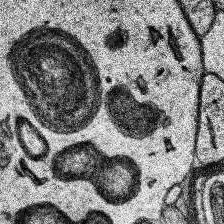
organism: Human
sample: Temporal Lobe